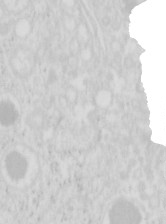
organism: Mouse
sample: Pancreas